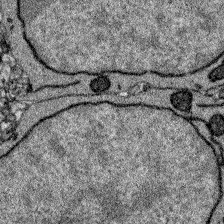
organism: Zebrafish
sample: Larval olfactory bulb